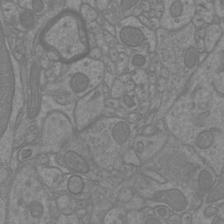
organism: Mouse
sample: Cortical neurons